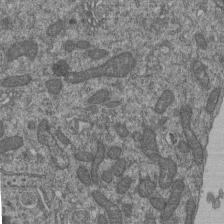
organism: Human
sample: Retinal organoid Rod and Cone cells